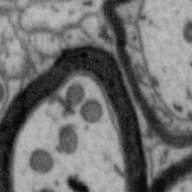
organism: Zebra finch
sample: Brain